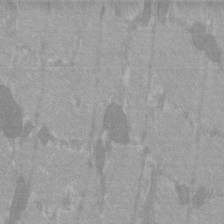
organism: C57BL Mouse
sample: Tibialis anterior muscle cell